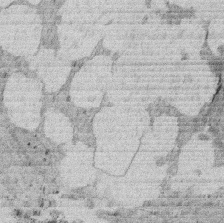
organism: Rat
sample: Salivary granule